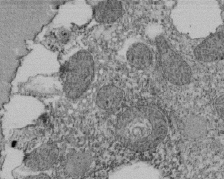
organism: Tetrahymena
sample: Cilia in tetrahymena